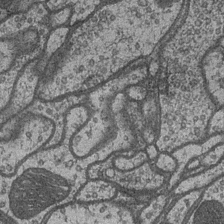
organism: Drosophila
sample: Optic medulla